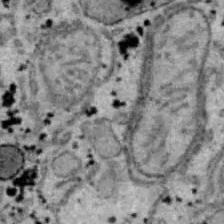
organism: Mouse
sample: Liver from an obese (ob/ob) mouse